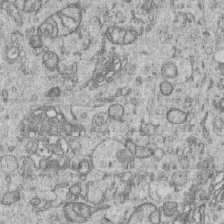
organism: Human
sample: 1205lu cells